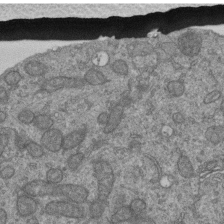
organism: Human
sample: Retinal organoid Rod and Cone cells